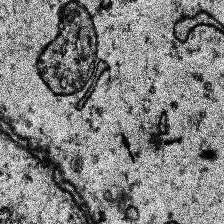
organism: Human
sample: Temporal Lobe